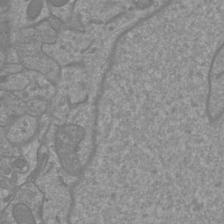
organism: Mouse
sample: Cortical neurons